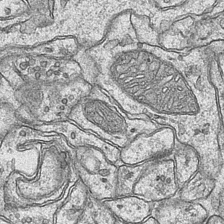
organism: Mouse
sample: CA1 Hippocampus